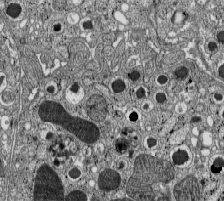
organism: C57BL Mouse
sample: Pancreatic islet